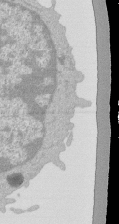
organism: Mouse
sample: Activated Pmel transgenic CD8+ T Cells